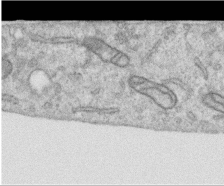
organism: Human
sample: Centriole in RPE cells